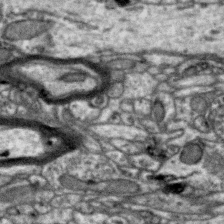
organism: Zebra finch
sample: Brain